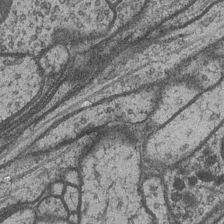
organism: Drosophila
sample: Optic medulla